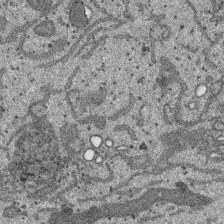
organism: Human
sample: Lung epithelial cells infected with SARS-CoV-2